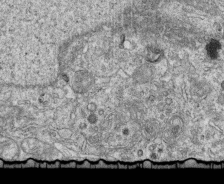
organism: Human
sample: HeLa cell HIV synapse